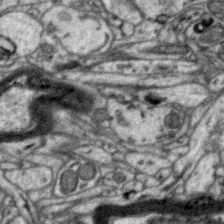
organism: Zebra finch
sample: Brain